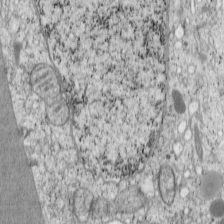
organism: African green monkey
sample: COS-7 cells